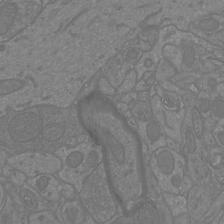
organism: Mouse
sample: Cortical neurons